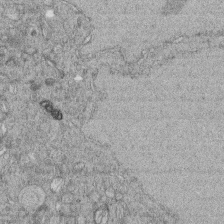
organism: C. elegans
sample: C. elegans embryo early stage